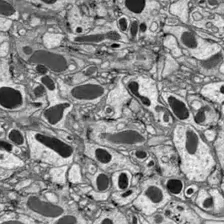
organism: Drosophila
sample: Optic lobe